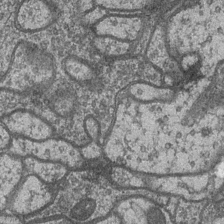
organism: Drosophila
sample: Optic medulla